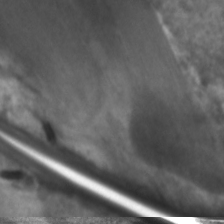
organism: C. elegans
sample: Pharynx